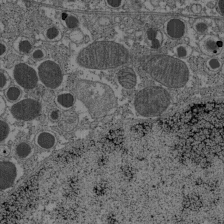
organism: C57BL Mouse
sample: Pancreatic islet